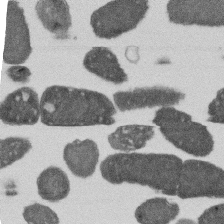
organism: E. coli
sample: Bacterial nucleoid